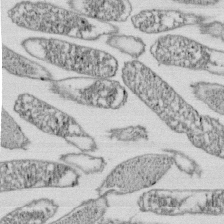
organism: E. coli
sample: Bacterial nucleoid